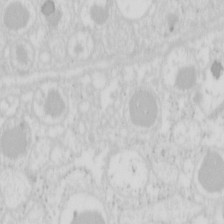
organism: Mouse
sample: Pancreas